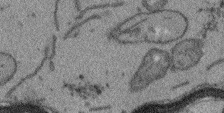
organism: Arabidopsis thaliana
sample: Root tip